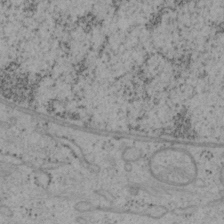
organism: Human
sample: HeLa cells